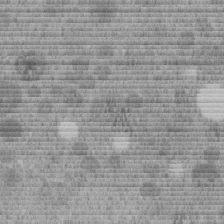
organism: C. elegans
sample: C. elegans embryo early stage